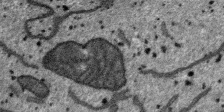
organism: Human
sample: Lung epithelial cells, uninfected (mock) control